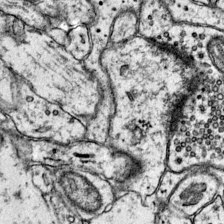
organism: Mouse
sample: Primary visual cortex